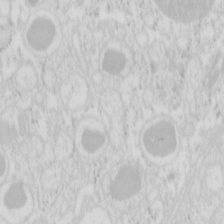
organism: Mouse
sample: Pancreas